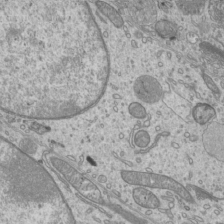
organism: Mouse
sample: Cilia; mouse epididymis